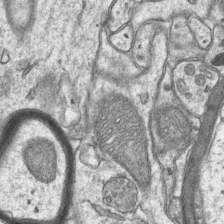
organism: Mouse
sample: CA1 Hippocampus